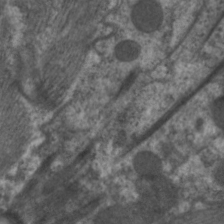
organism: C. elegans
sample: Pharynx